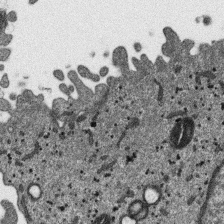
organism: Human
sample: Lung epithelial cells infected with SARS-CoV-2